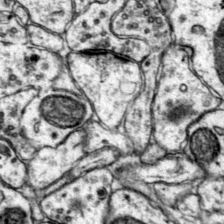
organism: Mouse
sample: Primary visual cortex